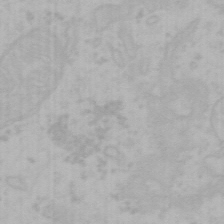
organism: Mouse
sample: Choroid plexus